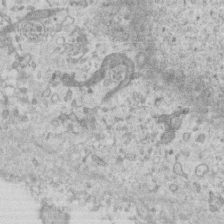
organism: Mouse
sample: Centriole in ependymal cells